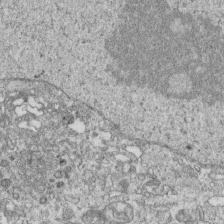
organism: Human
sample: HeLa cell HIV synapse